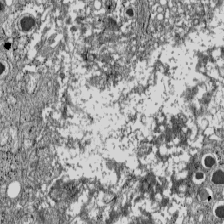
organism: C57BL Mouse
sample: Pancreatic islet